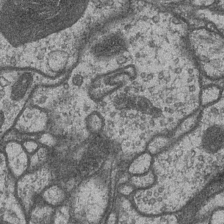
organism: Drosophila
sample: Optic medulla